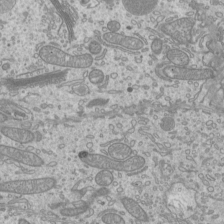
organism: Mouse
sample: Cilia; mouse epididymis